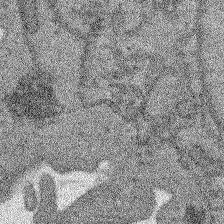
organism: Human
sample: HeLa cells